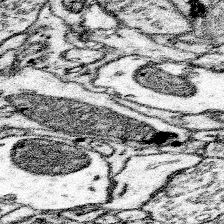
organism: Mouse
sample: Somatosensory cortex neuropil